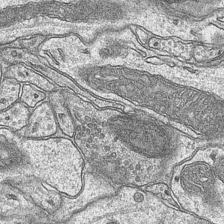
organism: Mouse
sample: CA1 Hippocampus